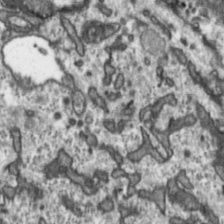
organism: Toxoplasma gondii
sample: Parasites in a vacuole inside a host cell